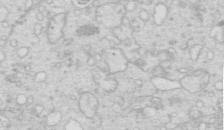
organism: Mouse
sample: Multiciliated cells